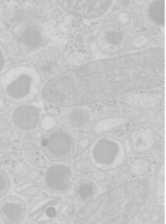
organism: Mouse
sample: Pancreas